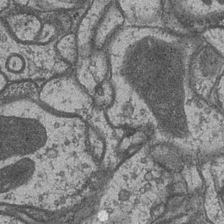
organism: Drosophila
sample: Optic medulla